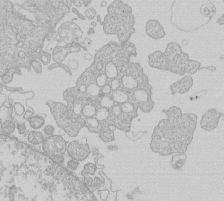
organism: Human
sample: Macrophage cells